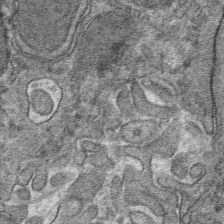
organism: Mouse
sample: Mouse hepatocytes